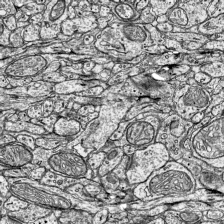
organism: Mouse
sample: Visual Cortex